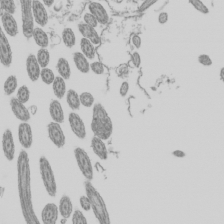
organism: Mouse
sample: Cilia; mouse epididymis